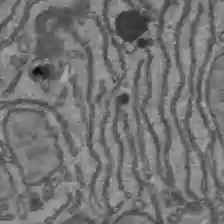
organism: C57BL Mouse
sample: Liver